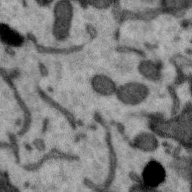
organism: Zebra finch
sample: Brain